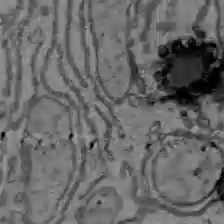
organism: C57BL Mouse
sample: Liver